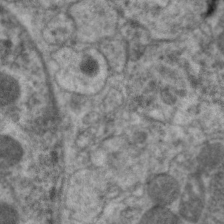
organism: C. elegans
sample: Pharynx